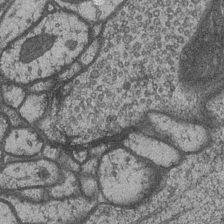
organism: Drosophila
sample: Optic medulla